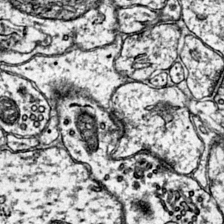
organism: Mouse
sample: Primary visual cortex